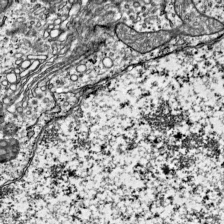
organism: Mouse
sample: Visual Cortex